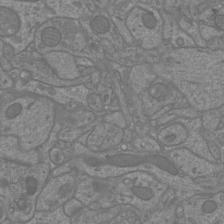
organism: Mouse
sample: Cortical neurons